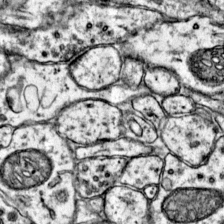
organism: Mouse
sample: Primary visual cortex